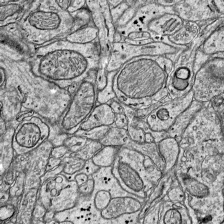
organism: Mouse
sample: Visual Cortex